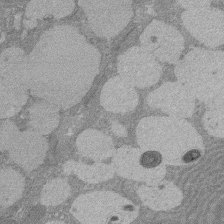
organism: Rat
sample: Salivary granule